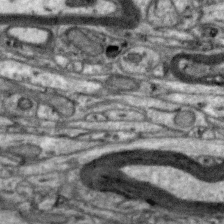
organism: Zebra finch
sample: Brain